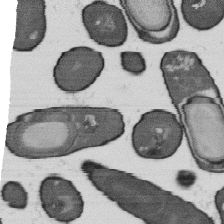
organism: B. subtilis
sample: Bacterial spore